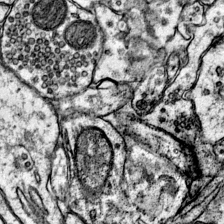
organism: Mouse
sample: Primary visual cortex